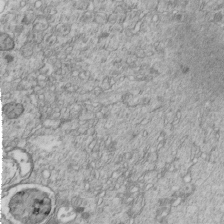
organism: C. elegans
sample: C. elegans embryo early stage